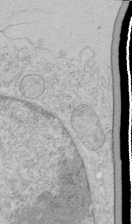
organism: Human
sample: Mitochondria in HCT116 cells